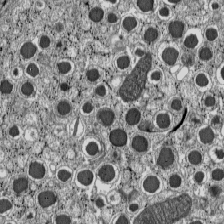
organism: C57BL Mouse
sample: Pancreatic islet